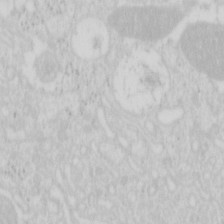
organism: Mouse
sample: Pancreas